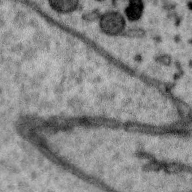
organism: Zebra finch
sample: Brain